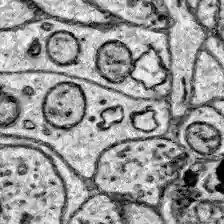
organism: Zebrafish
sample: Brain